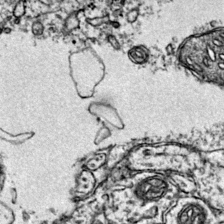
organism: Mouse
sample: Primary visual cortex